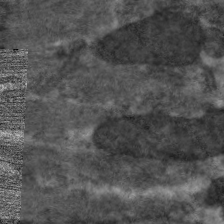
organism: C. elegans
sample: Pharynx